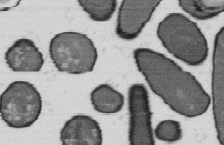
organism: B. subtilis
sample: Bacterial spore